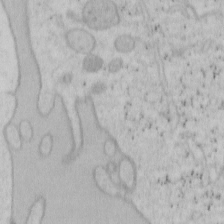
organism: Human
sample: HeLa cells